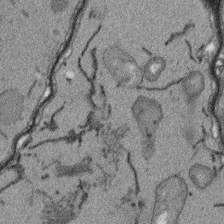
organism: Arabidopsis thaliana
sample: Root tip